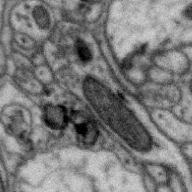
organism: Zebra finch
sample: Brain